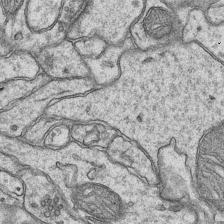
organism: Mouse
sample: CA1 Hippocampus